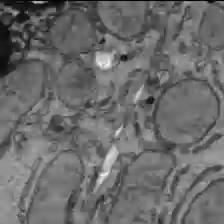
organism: C57BL Mouse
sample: Liver